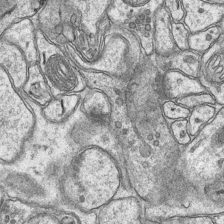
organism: Mouse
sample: CA1 Hippocampus